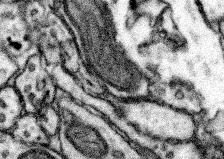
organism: Mouse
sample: Somatosensory cortex neuropil